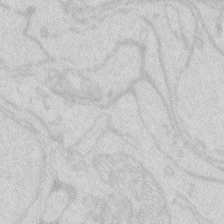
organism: Zebrafish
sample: Macrophage